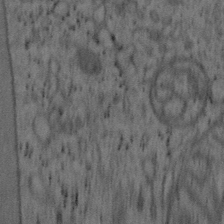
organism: Human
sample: HeLa cells